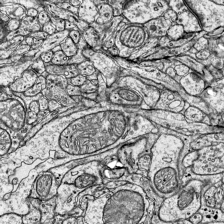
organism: Mouse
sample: Visual Cortex